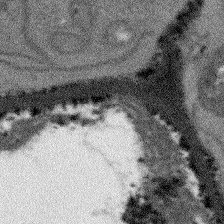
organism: Arabidopsis thaliana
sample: Root tip